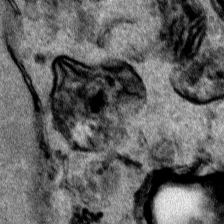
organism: Human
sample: Mitochondria in HCT116 cells